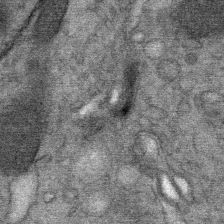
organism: Mouse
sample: Mouse Salivary gland